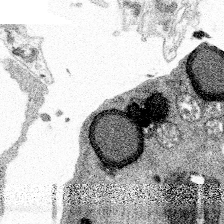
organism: Spongilla lacustris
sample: Multiple